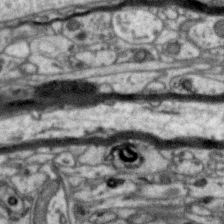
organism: Zebra finch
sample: Brain